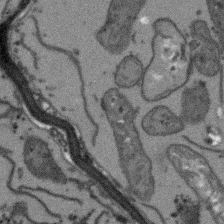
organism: Arabidopsis thaliana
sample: Root tip